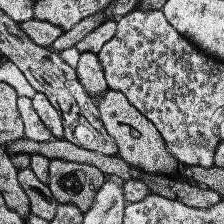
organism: Human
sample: Temporal Lobe